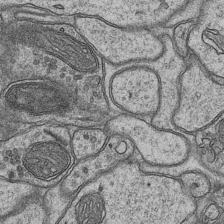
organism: Mouse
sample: CA1 Hippocampus